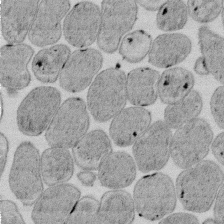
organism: E. coli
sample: Bacterial nucleoid